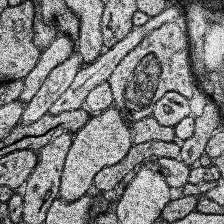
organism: Human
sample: Temporal Lobe